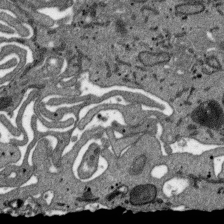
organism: Human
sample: Lung epithelial cells, uninfected (mock) control